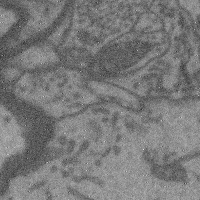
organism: Mouse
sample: Cerebral cortex